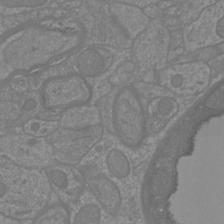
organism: Mouse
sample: Cortical neurons